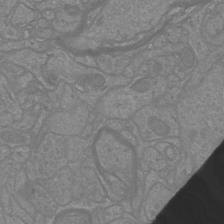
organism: Mouse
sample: Cortical neurons